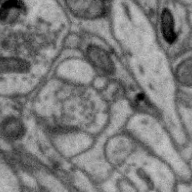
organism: Zebra finch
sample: Brain